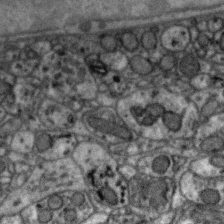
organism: Zebra finch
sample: Brain